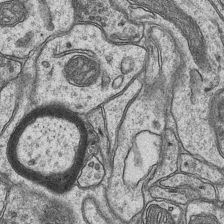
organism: Mouse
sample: CA1 Hippocampus